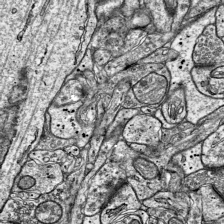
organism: Mouse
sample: Visual Cortex